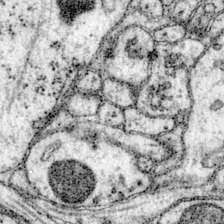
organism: Mouse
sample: Primary visual cortex